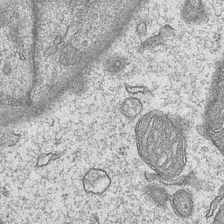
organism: Mouse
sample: CA1 Hippocampus